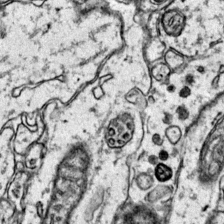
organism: Mouse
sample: Primary visual cortex